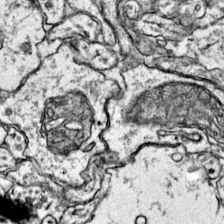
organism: Mouse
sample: Primary visual cortex